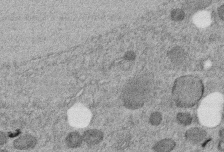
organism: C. elegans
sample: C. elegans embryo early stage